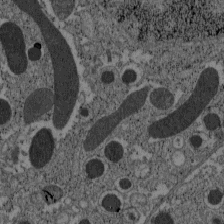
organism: C57BL Mouse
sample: Pancreatic islet